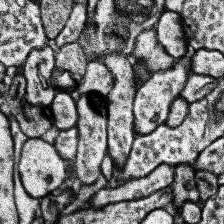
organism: Human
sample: Temporal Lobe